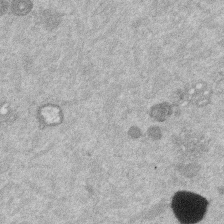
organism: Mouse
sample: Dividing mouse embryo 1 cell stage